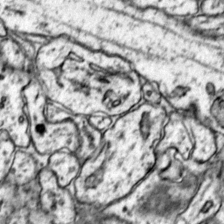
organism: Mouse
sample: Primary visual cortex